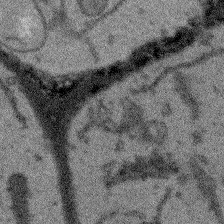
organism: Arabidopsis thaliana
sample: Root tip